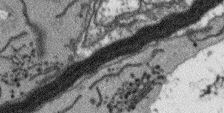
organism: Arabidopsis thaliana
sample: Root tip